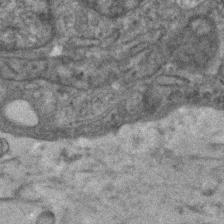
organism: Human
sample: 1205lu cells